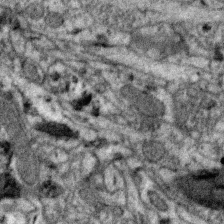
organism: Zebra finch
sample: Brain